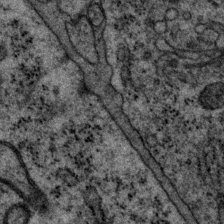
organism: P. pacificus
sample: Pharynx